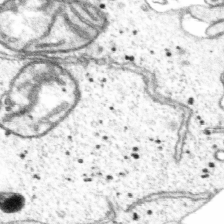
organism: Human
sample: HeLa cells